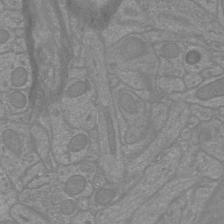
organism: Mouse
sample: Cortical neurons